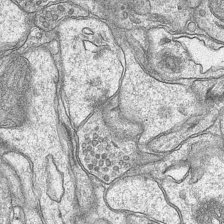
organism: Mouse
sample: CA1 Hippocampus